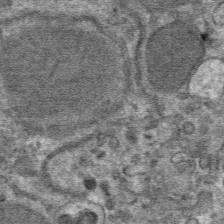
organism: Mouse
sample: Mouse hepatocytes